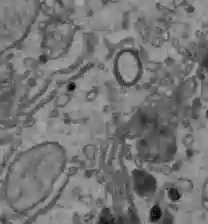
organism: C57BL Mouse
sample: Liver